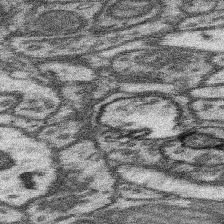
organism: Mouse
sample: Somatosensory cortex neuropil